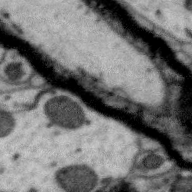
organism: Zebra finch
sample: Brain